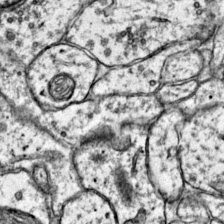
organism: Mouse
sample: Primary visual cortex